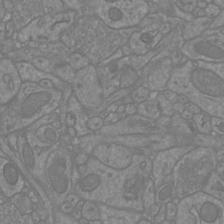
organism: Mouse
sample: Cortical neurons